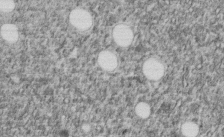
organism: C. elegans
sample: C. elegans embryo early stage